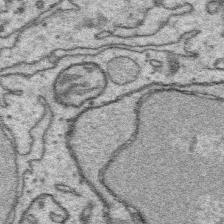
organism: Platynereis dumerilii